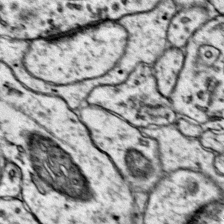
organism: Mouse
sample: Primary visual cortex